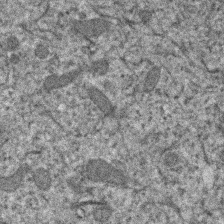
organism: Human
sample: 1205lu cells